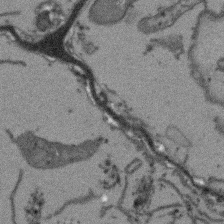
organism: Arabidopsis thaliana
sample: Root tip